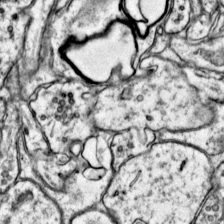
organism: Mouse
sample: Primary visual cortex